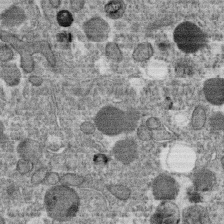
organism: C. elegans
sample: C. elegans oocyte; sperm cells